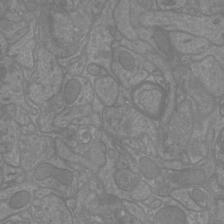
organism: Mouse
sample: Cortical neurons